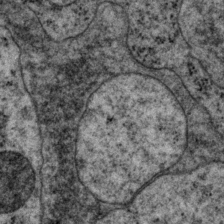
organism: P. pacificus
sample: Pharynx